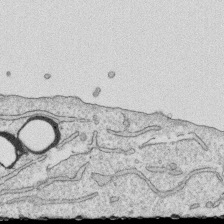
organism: Human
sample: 1205lu cells